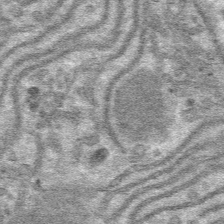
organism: Mouse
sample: Mouse hepatocytes